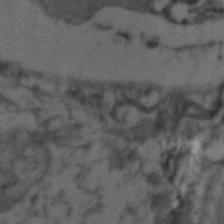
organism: Zebrafish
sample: Zebrafish embryo